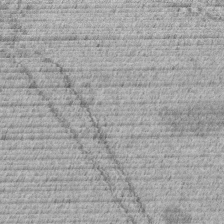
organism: C. elegans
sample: C. elegans embryo early stage